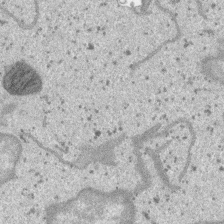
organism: Human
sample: Lung epithelial cells infected with SARS-CoV-2